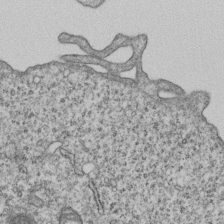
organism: Human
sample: MDA-MB-231 cells